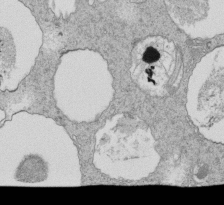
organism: Tetrahymena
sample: Cilia in tetrahymena